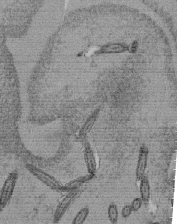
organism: Tetrahymena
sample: Cilia in tetrahymena